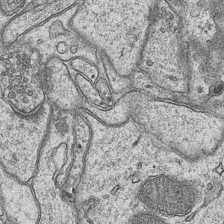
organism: Mouse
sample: CA1 Hippocampus